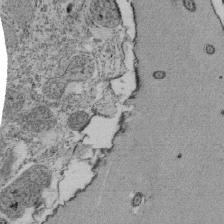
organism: Tetrahymena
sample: Cilia in tetrahymena